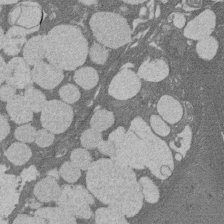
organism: Rat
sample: Salivary granule